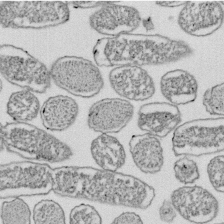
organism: E. coli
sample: Bacterial nucleoid